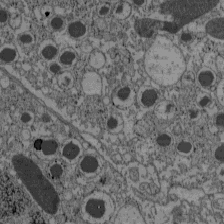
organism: C57BL Mouse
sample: Pancreatic islet